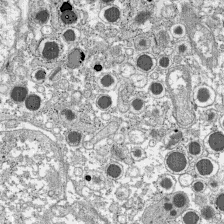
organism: C57BL Mouse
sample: Pancreatic islet